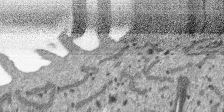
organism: Human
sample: Lung epithelial cells infected with SARS-CoV-2